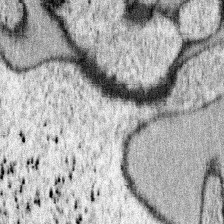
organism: Human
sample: HeLa cells